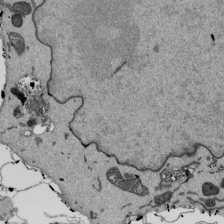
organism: Mouse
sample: ED-1 cell nuclei; centrioles